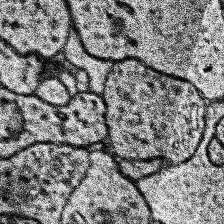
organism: Human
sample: Temporal Lobe